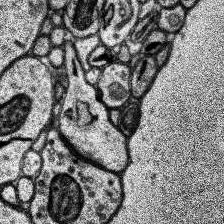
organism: Human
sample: Temporal Lobe